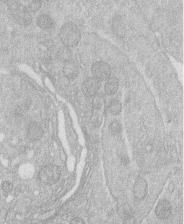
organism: Human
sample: Macrophage cells